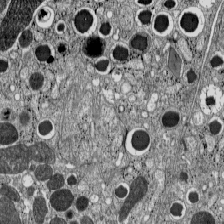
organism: C57BL Mouse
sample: Pancreatic islet